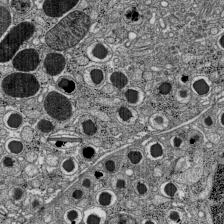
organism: C57BL Mouse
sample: Pancreatic islet